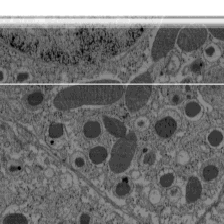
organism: C57BL Mouse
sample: Pancreatic islet